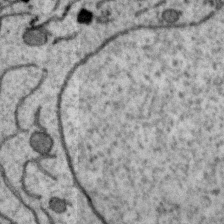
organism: Zebra finch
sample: Brain